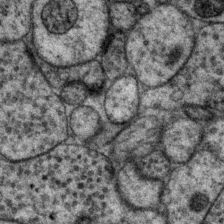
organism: P. pacificus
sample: Pharynx